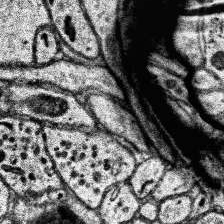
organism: Human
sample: Temporal Lobe